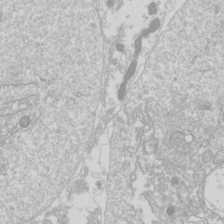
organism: Drosophila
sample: Cell division; meiosis; drosophila spermatocytes